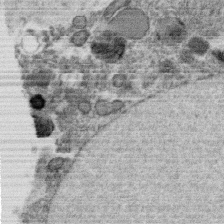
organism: C. elegans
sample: C. elegans oocyte; sperm cells